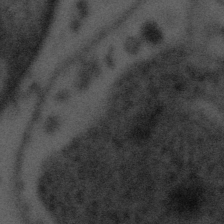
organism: Tuwongella immobilis